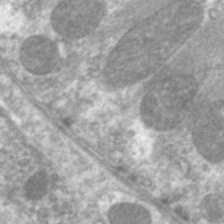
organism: C. elegans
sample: Pharynx